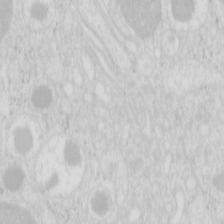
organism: Mouse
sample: Pancreas